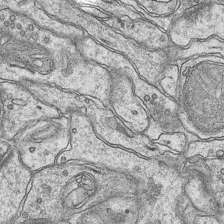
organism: Mouse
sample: CA1 Hippocampus